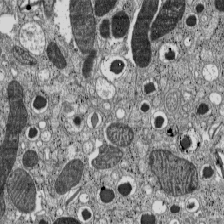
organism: C57BL Mouse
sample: Pancreatic islet